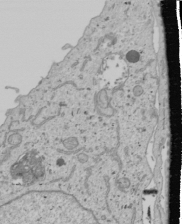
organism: Human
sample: Mitochondria in U2OS cells